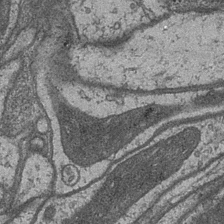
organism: Drosophila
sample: Optic medulla